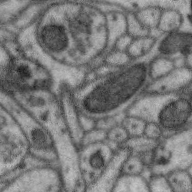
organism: Zebra finch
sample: Brain